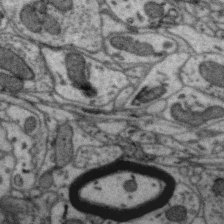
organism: Zebra finch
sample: Brain